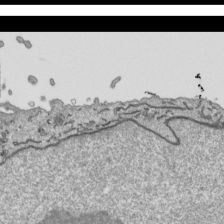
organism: Human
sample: Mitochondria in HCT116 cells